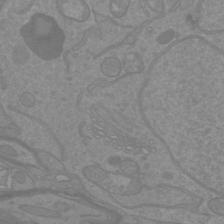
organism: Mouse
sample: Cortical neurons